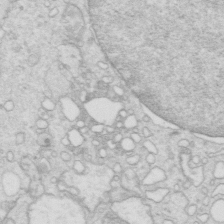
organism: Mouse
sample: Multiciliated cells